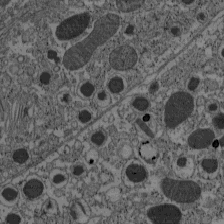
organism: C57BL Mouse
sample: Pancreatic islet